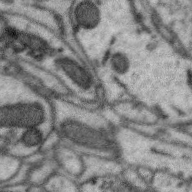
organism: Zebra finch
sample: Brain